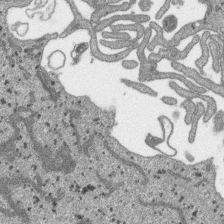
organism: Human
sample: Lung epithelial cells infected with SARS-CoV-2